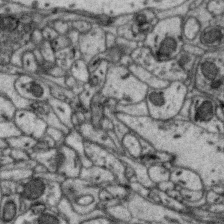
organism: Zebra finch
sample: Brain